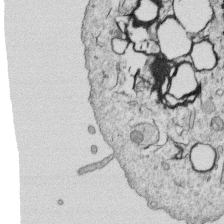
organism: Human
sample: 1205lu cells